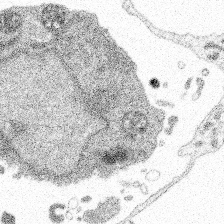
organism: Spongilla lacustris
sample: Multiple